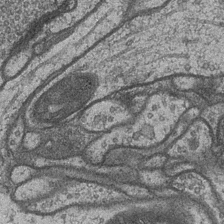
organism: Drosophila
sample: Optic medulla